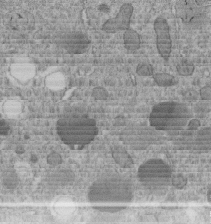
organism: C. elegans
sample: C. elegans embryo early stage